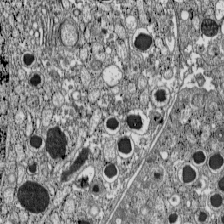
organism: C57BL Mouse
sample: Pancreatic islet